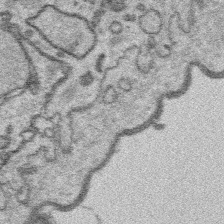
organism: Platynereis dumerilii